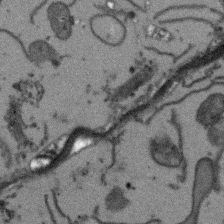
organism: Arabidopsis thaliana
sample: Root tip